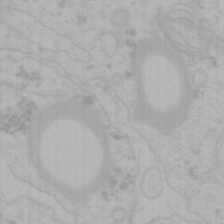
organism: Mouse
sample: Choroid plexus